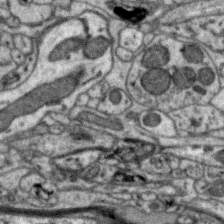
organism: Zebra finch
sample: Brain